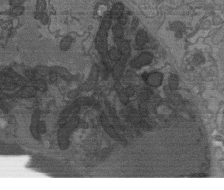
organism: C. elegans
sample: AFD neurons C. elegans